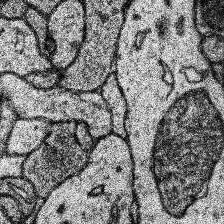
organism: Human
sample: Temporal Lobe